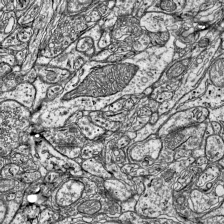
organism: Mouse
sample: Visual Cortex